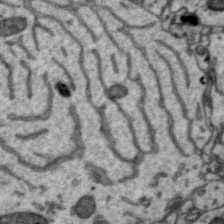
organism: Zebra finch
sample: Brain